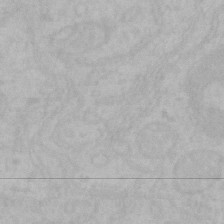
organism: Mouse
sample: Choroid plexus